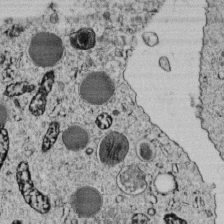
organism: C. elegans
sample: C. elegans embryo early stage